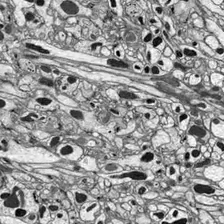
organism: Drosophila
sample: Optic lobe